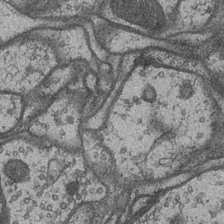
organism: Drosophila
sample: Optic medulla